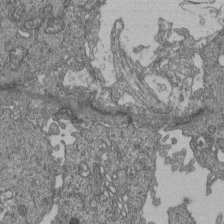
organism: Human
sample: Retinal organoid Rod and Cone cells